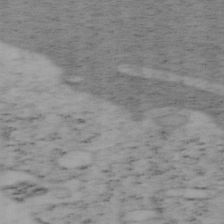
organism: Mouse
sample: OT-I killer T cells with ID8 ovarian cancer cells